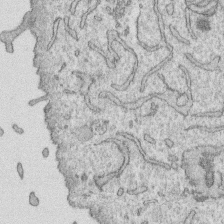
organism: Human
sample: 1205lu cells